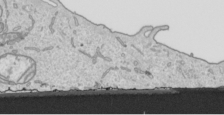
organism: Human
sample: Mitochondria in HCT116 cells